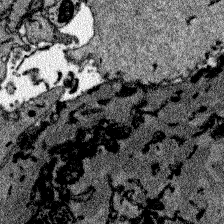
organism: Zebrafish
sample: Larval olfactory bulb